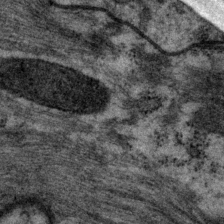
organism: P. pacificus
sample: Pharynx